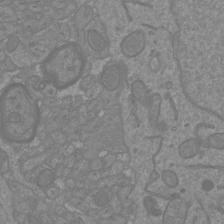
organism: Mouse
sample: Cortical neurons